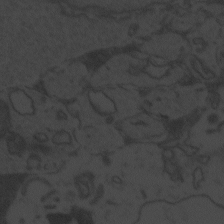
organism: Zebrafish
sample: Macrophage infected with Toxoplasma gondii